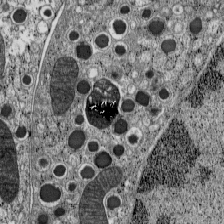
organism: C57BL Mouse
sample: Pancreatic islet